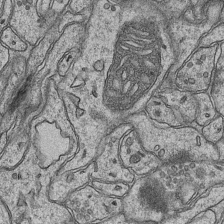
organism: Mouse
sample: CA1 Hippocampus